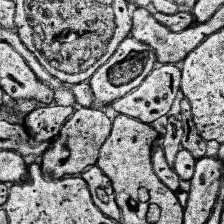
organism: Human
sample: Temporal Lobe